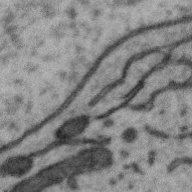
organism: Zebra finch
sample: Brain